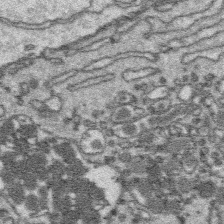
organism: Platynereis dumerilii